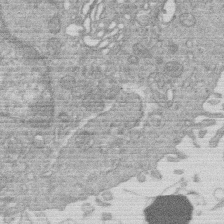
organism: Human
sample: Macrophage cells